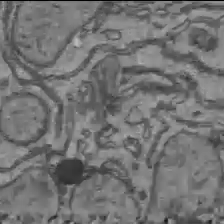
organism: C57BL Mouse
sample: Liver